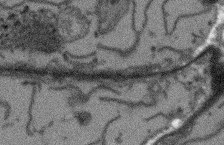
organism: Arabidopsis thaliana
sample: Root tip